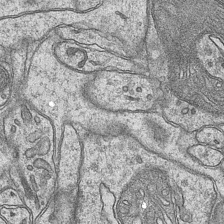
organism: Mouse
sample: CA1 Hippocampus